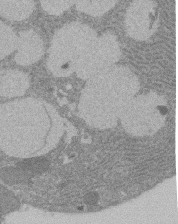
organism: Rat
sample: Salivary granule